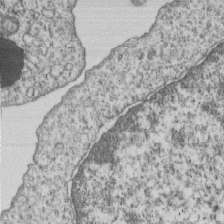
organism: Human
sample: MDA-MB-231 cells